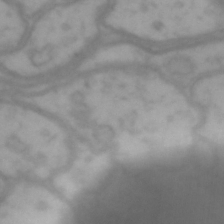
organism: Drosophila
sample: Brain